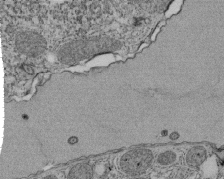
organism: Tetrahymena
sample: Cilia in tetrahymena